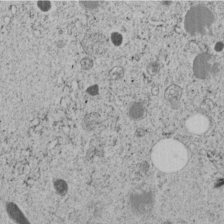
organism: C. elegans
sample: C. elegans embryo early stage